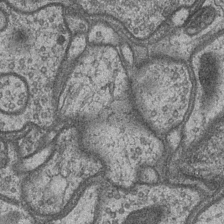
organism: Drosophila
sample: Optic medulla